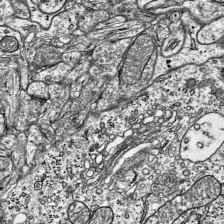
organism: Mouse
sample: Visual Cortex